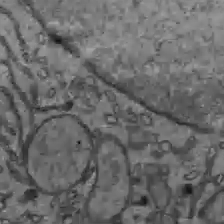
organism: C57BL Mouse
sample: Liver